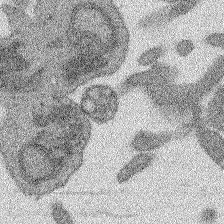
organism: Human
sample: HeLa cells